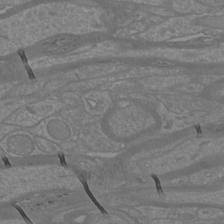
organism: Mouse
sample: Cortical neurons